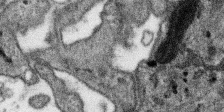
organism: Human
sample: Lung epithelial cells infected with SARS-CoV-2